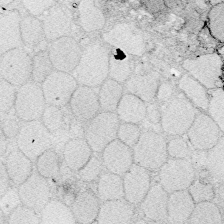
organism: Zebrafish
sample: Whole-Brain